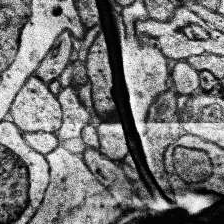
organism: Human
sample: Temporal Lobe